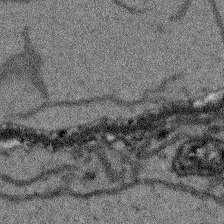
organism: Arabidopsis thaliana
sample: Root tip